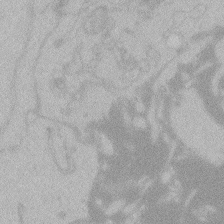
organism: Zebrafish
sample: Macrophage infected with Toxoplasma gondii